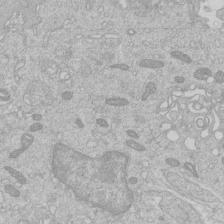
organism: Human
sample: Macrophage cells